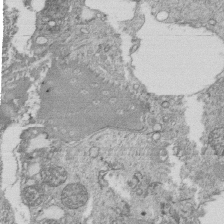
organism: Tetrahymena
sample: Cilia in tetrahymena